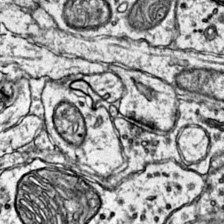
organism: Mouse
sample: Primary visual cortex